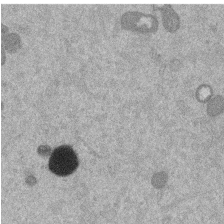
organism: Mouse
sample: Dividing mouse embryo 1 cell stage